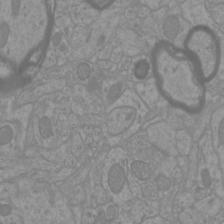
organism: Mouse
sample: Cortical neurons